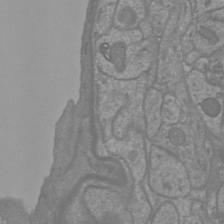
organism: Mouse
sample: Cortical neurons